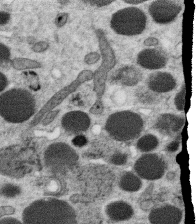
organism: C. elegans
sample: C. elegans oocyte; sperm cells